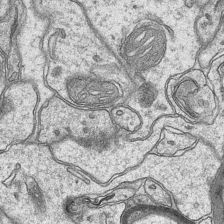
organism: Mouse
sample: CA1 Hippocampus